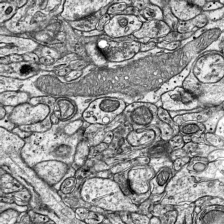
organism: Mouse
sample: Visual Cortex